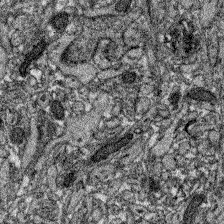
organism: Zebrafish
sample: Larval olfactory bulb